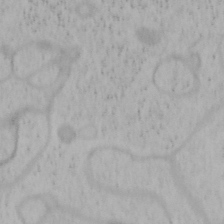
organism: Mouse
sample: OT-I killer T cells with ID8 ovarian cancer cells